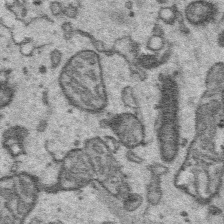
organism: Platynereis dumerilii